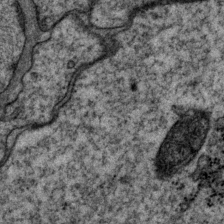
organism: P. pacificus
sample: Pharynx